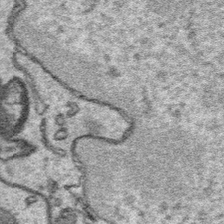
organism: Platynereis dumerilii